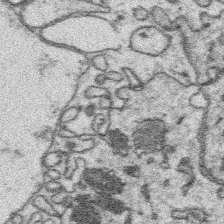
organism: Platynereis dumerilii